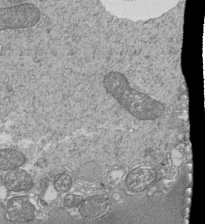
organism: Tetrahymena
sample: Cilia in tetrahymena